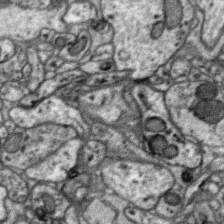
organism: Zebra finch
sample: Brain